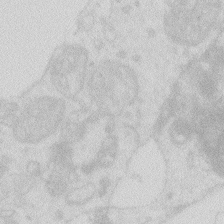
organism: Zebrafish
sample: Macrophage